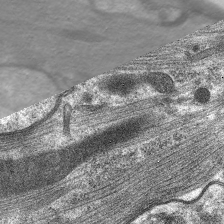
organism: C. elegans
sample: Pharynx